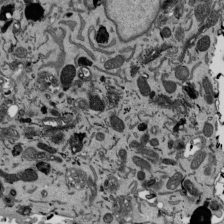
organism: Mouse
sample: ED-1 cell nuclei; centrioles